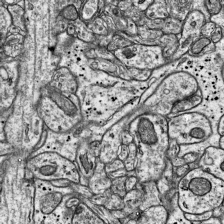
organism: Mouse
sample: Visual Cortex